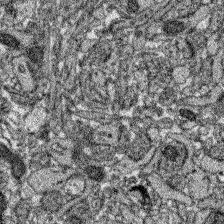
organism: Zebrafish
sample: Larval olfactory bulb